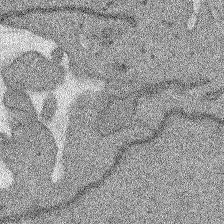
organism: Human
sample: HeLa cells